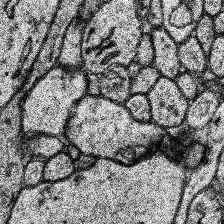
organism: Human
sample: Temporal Lobe